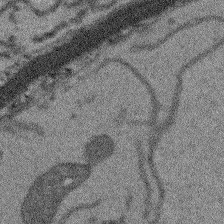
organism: Arabidopsis thaliana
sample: Root tip